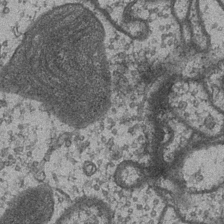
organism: Drosophila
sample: Optic medulla